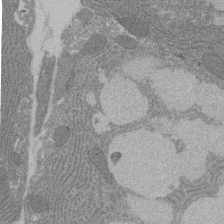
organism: Rat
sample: Salivary granule